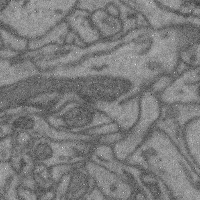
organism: Mouse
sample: Cerebral cortex